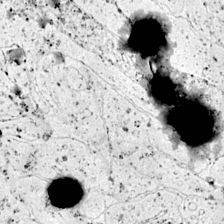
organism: Mouse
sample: Primary visual cortex